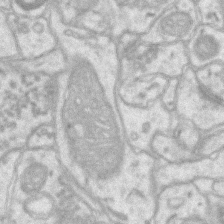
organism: Mouse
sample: CA1 Hippocampus